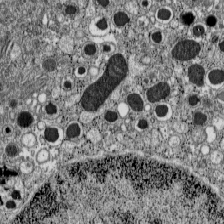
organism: C57BL Mouse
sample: Pancreatic islet